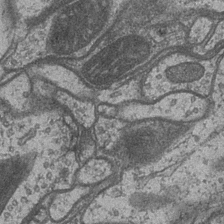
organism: Drosophila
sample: Optic medulla